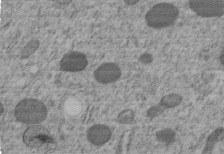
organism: C. elegans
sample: C. elegans embryo early stage